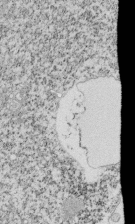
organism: Tetrahymena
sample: Cilia in tetrahymena